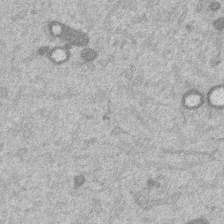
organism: Mouse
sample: Dividing mouse embryo 1 cell stage